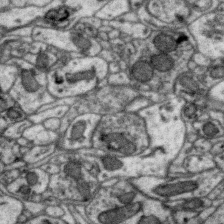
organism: Zebra finch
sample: Brain